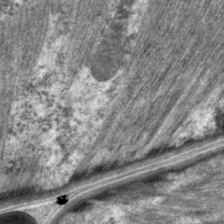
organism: C. elegans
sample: Pharynx